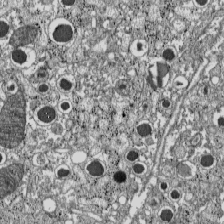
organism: C57BL Mouse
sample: Pancreatic islet